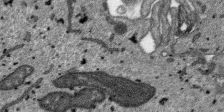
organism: Human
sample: Lung epithelial cells, uninfected (mock) control